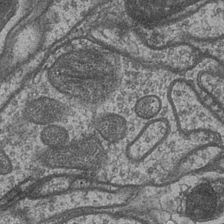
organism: Drosophila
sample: Optic medulla